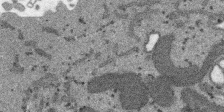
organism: Human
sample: Lung epithelial cells infected with SARS-CoV-2